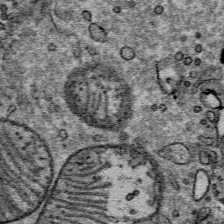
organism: Mouse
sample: Mouse Salivary gland